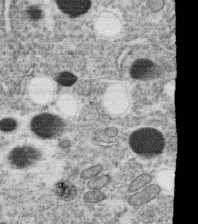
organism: C. elegans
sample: C. elegans oocyte; sperm cells